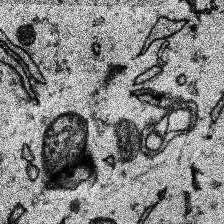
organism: Human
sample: Temporal Lobe